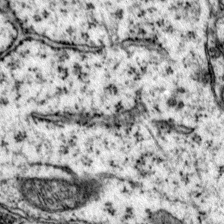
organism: Mouse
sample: Primary visual cortex